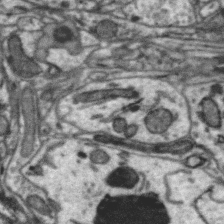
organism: Zebra finch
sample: Brain